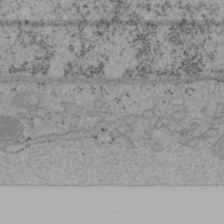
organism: Human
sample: HeLa cells